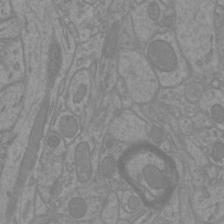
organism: Mouse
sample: Cortical neurons